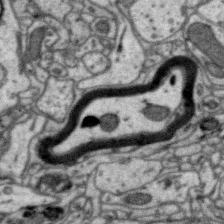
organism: Zebra finch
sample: Brain